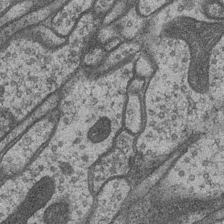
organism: Drosophila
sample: Optic medulla